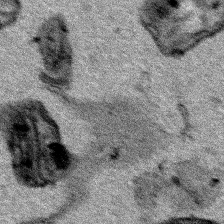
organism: Human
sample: Mitochondria in HCT116 cells